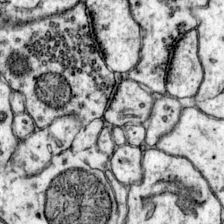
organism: Mouse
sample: Primary visual cortex